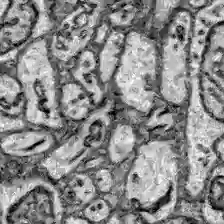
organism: Zebrafish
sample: Brain